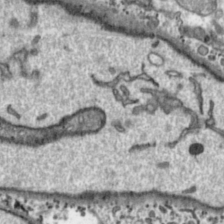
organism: Toxoplasma gondii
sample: Parasites in a vacuole inside a host cell